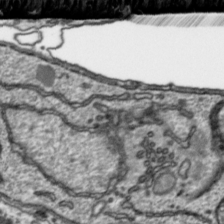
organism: Toxoplasma gondii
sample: Parasites in a vacuole inside a host cell